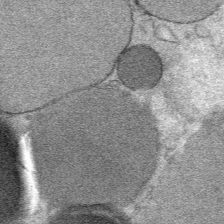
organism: Mouse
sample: Mouse Salivary gland